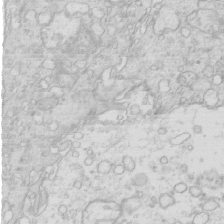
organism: Mouse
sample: Multiciliated cells